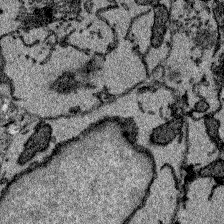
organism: Zebrafish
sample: Larval olfactory bulb